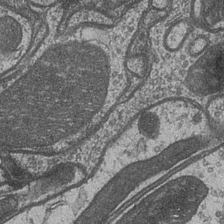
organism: Drosophila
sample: Optic medulla